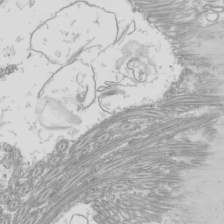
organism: Mouse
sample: Cilia; mouse epididymis